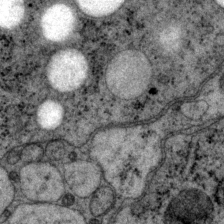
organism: P. pacificus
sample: Pharynx